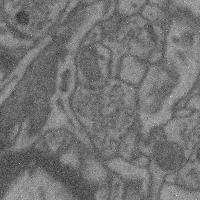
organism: Mouse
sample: Cerebral cortex